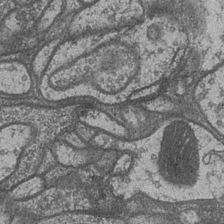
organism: Drosophila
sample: Optic medulla